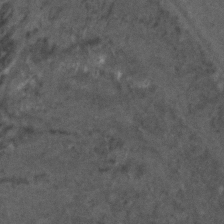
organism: C. elegans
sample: C. elegans embryo